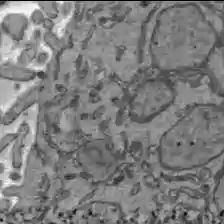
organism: C57BL Mouse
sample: Liver